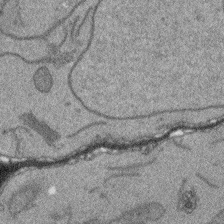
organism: Arabidopsis thaliana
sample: Root tip